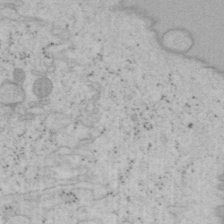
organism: Human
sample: HeLa cells